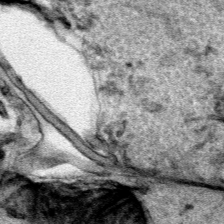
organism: Human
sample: Mitochondria in HCT116 cells